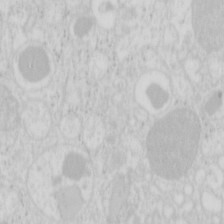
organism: Mouse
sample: Pancreas